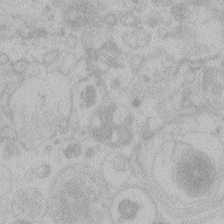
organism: Zebrafish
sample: Macrophage infected with Toxoplasma gondii